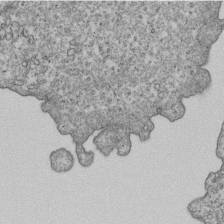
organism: Human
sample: MDA-MB-231 cells